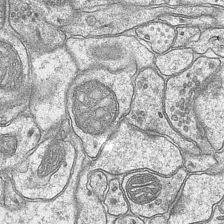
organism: Mouse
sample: CA1 Hippocampus